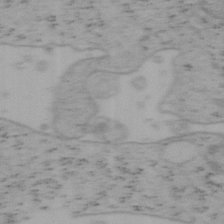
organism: Mouse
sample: OT-I killer T cells with ID8 ovarian cancer cells